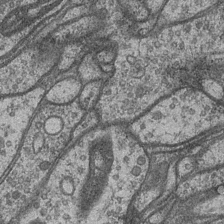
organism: Drosophila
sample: Optic medulla